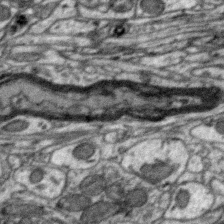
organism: Zebra finch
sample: Brain